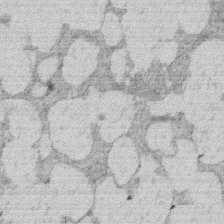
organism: Rat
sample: Salivary granule